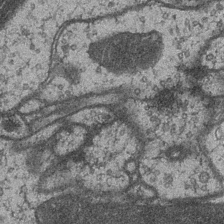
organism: Drosophila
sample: Optic medulla